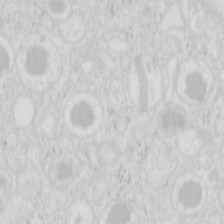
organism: Mouse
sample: Pancreas